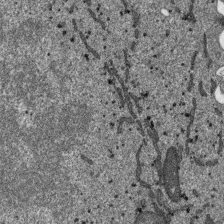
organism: Human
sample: Lung epithelial cells infected with SARS-CoV-2